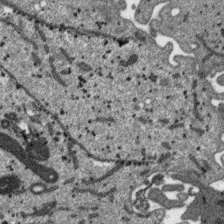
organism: Human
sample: Lung epithelial cells infected with SARS-CoV-2